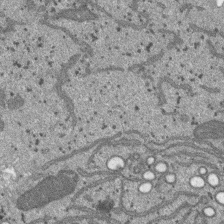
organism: Human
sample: Lung epithelial cells infected with SARS-CoV-2